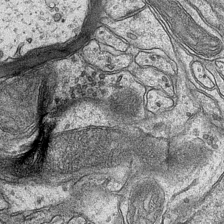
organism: Mouse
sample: CA1 Hippocampus